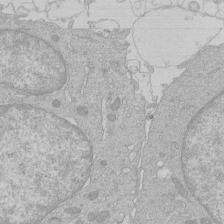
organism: Human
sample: Macrophage cells